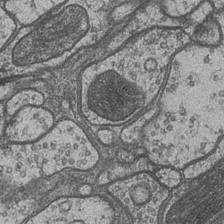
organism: Drosophila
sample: Optic medulla